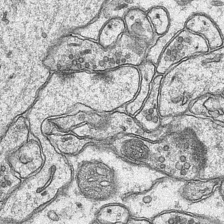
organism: Mouse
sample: CA1 Hippocampus